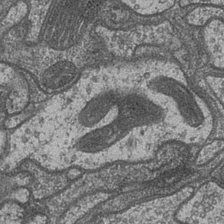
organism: Drosophila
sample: Optic medulla